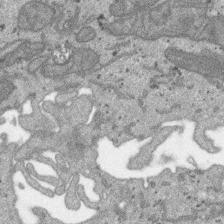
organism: Human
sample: Lung epithelial cells infected with SARS-CoV-2